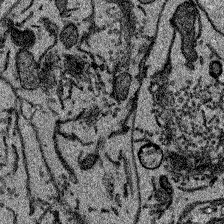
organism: Zebrafish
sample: Larval olfactory bulb